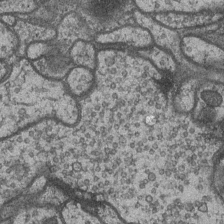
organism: Drosophila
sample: Optic medulla